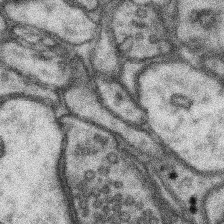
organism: Mouse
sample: Somatosensory cortex neuropil